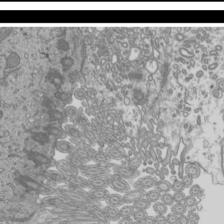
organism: Mouse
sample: Cilia; mouse epididymis